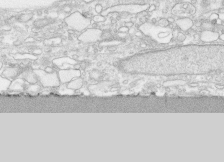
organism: Human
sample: CRL-1474